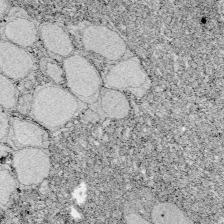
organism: Zebrafish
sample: Whole-Brain